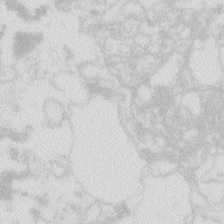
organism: Zebrafish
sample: Macrophage